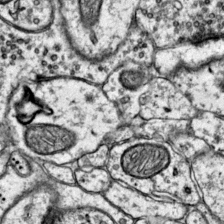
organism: Mouse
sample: Primary visual cortex